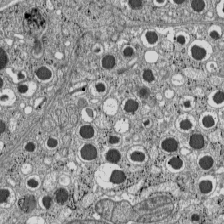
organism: C57BL Mouse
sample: Pancreatic islet